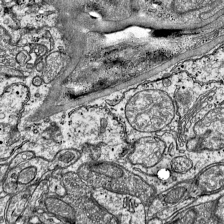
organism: Mouse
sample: Visual Cortex